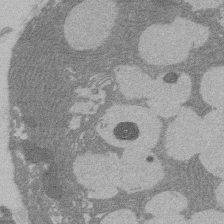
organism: Rat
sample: Salivary granule